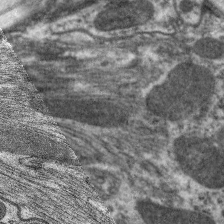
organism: C. elegans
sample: Pharynx